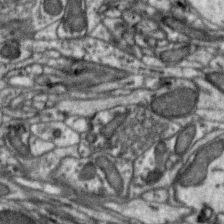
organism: Zebra finch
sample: Brain